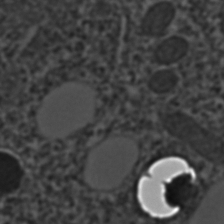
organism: C. elegans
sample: C. elegans embryo